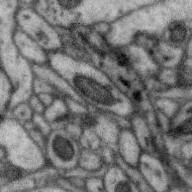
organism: Zebra finch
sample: Brain